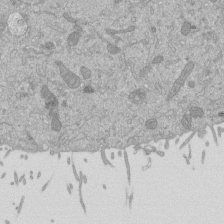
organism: Mouse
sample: ED-1 cell nuclei; centrioles